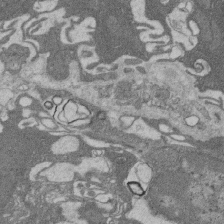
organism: Rat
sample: Salivary granule